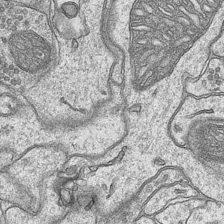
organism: Mouse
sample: CA1 Hippocampus